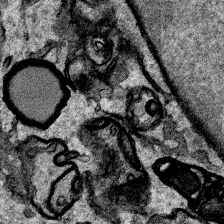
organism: Human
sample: Mitochondria in HCT116 cells